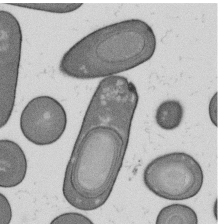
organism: B. subtilis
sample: Bacterial spore